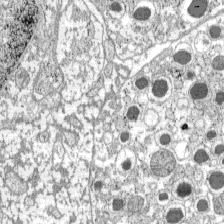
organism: C57BL Mouse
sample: Pancreatic islet